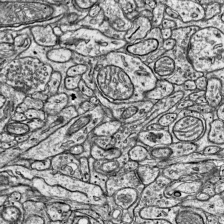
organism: Mouse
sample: Visual Cortex